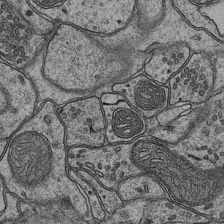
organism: Mouse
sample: CA1 Hippocampus